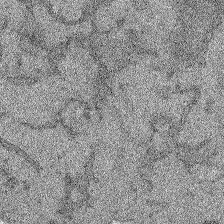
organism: Human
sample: HeLa cells